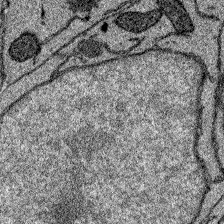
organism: Zebrafish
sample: Larval olfactory bulb